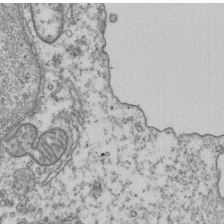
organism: Human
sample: Activated Jurkat CD4+ T cells